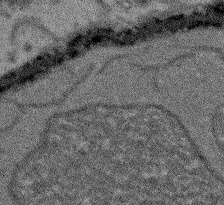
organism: Arabidopsis thaliana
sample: Root tip